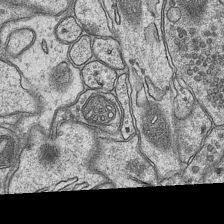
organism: Mouse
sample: CA1 Hippocampus